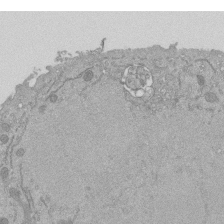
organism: Mouse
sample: ED-1 cell nuclei; centrioles